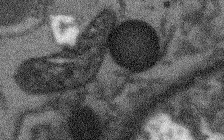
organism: Arabidopsis thaliana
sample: Root tip